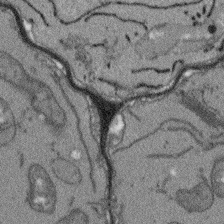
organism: Arabidopsis thaliana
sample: Root tip